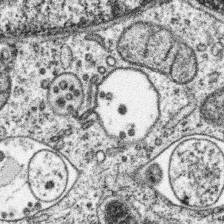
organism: Human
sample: HeLa cells